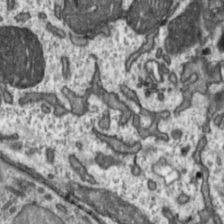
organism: Toxoplasma gondii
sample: Parasites in a vacuole inside a host cell